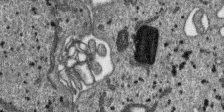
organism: Human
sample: Lung epithelial cells infected with SARS-CoV-2